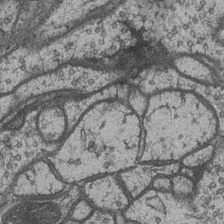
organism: Drosophila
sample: Optic medulla